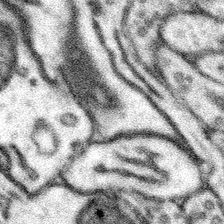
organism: Mouse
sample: Somatosensory cortex neuropil